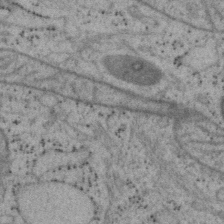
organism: Human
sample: HeLa cells